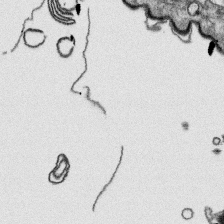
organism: Platynereis dumerilii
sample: Parapodia